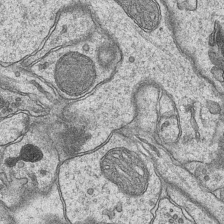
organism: Mouse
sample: CA1 Hippocampus